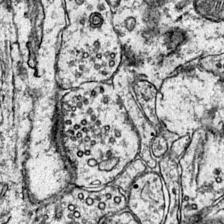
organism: Mouse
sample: Primary visual cortex